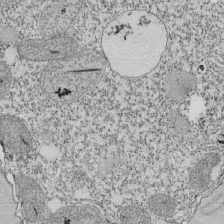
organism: Tetrahymena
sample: Cilia in tetrahymena